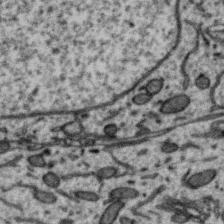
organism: Zebra finch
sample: Brain